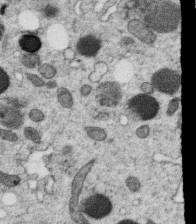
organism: C. elegans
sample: C. elegans oocyte; sperm cells